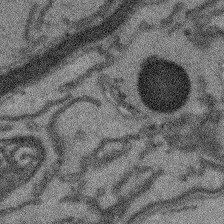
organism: Arabidopsis thaliana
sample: Root tip